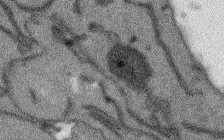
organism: Arabidopsis thaliana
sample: Root tip